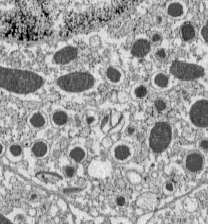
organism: C57BL Mouse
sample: Pancreatic islet